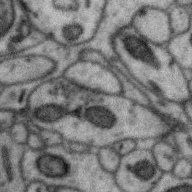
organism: Zebra finch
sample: Brain